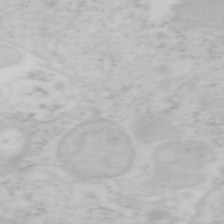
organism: Mouse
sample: OT-I killer T cells with ID8 ovarian cancer cells